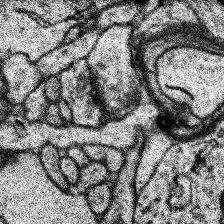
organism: Human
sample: Temporal Lobe